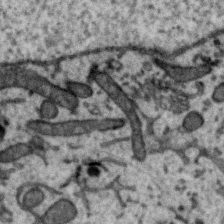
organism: Zebra finch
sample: Brain